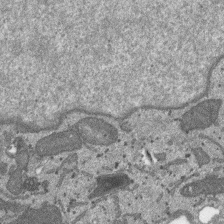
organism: Human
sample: Lung epithelial cells infected with SARS-CoV-2